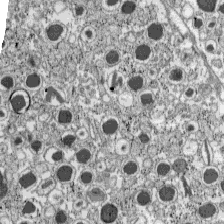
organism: C57BL Mouse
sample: Pancreatic islet